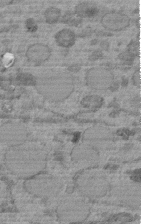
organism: C. elegans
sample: C. elegans embryo early stage